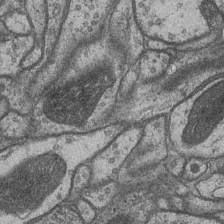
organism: Drosophila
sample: Optic medulla